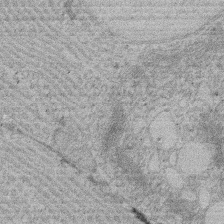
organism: Rat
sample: Salivary granule